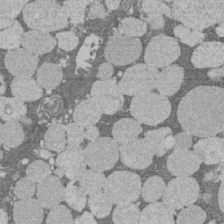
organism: Rat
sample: Salivary granule